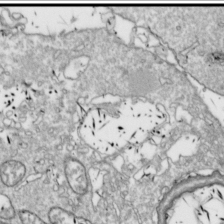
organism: Drosophila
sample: Cell division; meiosis; drosophila spermatocytes